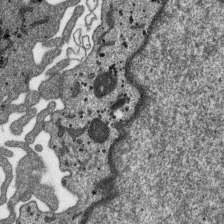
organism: Human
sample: Lung epithelial cells infected with SARS-CoV-2